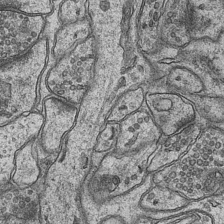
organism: Mouse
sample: CA1 Hippocampus